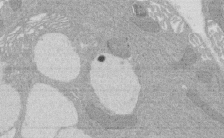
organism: Rat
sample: Salivary granule